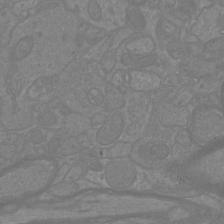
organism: Mouse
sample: Cortical neurons